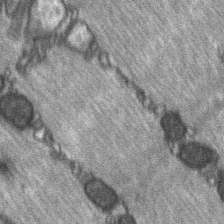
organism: C57BL Mouse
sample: Soleus